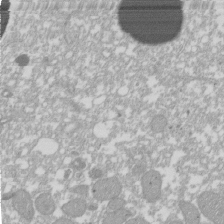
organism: Xenopus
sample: Cilia; centrioles in frog embryo cells